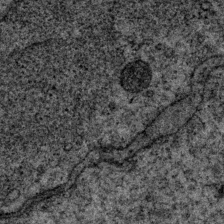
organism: P. pacificus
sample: Pharynx